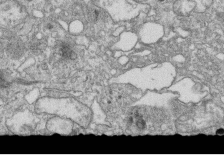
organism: Human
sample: HeLa cell HIV synapse